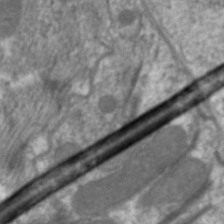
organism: C. elegans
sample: Pharynx